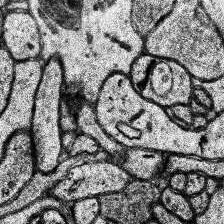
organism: Human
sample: Temporal Lobe